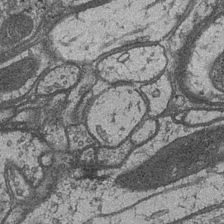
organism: Drosophila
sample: Optic medulla